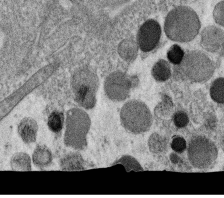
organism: C. elegans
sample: C. elegans oocyte; sperm cells